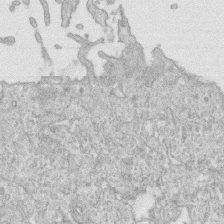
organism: Human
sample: HeLa cell HIV synapse